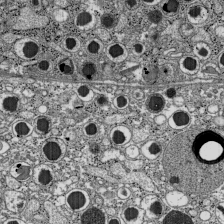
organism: C57BL Mouse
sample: Pancreatic islet